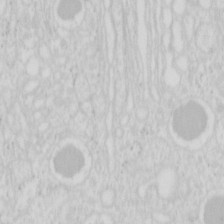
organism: Mouse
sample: Pancreas